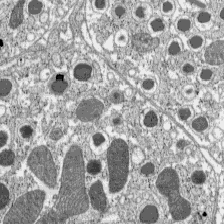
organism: C57BL Mouse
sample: Pancreatic islet